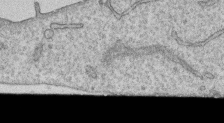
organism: Human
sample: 1205lu cells